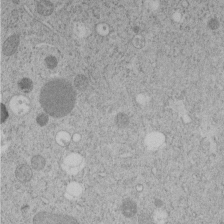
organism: C. elegans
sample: C. elegans embryo early stage